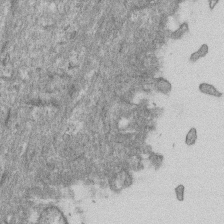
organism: Mouse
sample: Centriole in ependymal cells